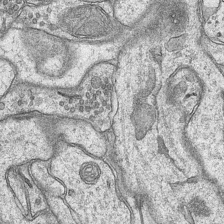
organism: Mouse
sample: CA1 Hippocampus